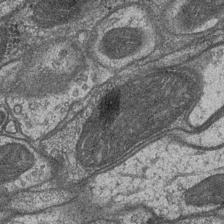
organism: Drosophila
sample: Optic medulla